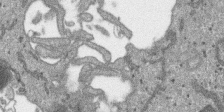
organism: Human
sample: Lung epithelial cells infected with SARS-CoV-2